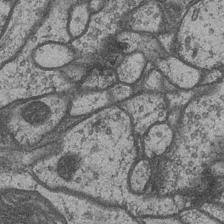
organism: Drosophila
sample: Optic medulla